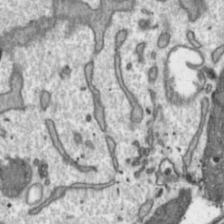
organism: Toxoplasma gondii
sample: Parasites in a vacuole inside a host cell